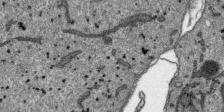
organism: Human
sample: Lung epithelial cells, uninfected (mock) control